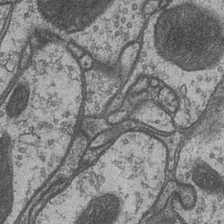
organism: Drosophila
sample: Optic medulla